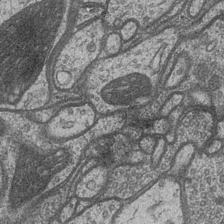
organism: Drosophila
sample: Optic medulla